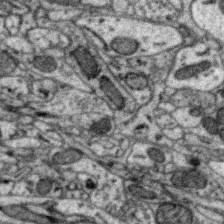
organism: Zebra finch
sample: Brain